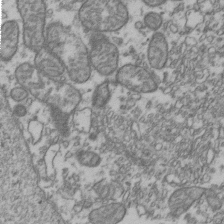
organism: Human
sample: Activated Jurkat CD4+ T cells